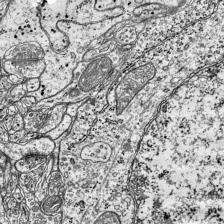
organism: Mouse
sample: Visual Cortex